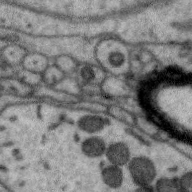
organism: Zebra finch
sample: Brain